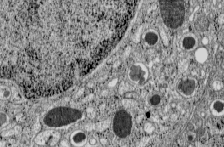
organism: C57BL Mouse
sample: Pancreatic islet